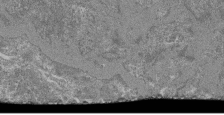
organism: Mouse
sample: Glomerulus